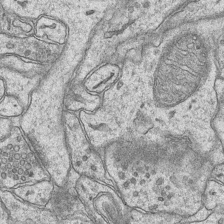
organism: Mouse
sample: CA1 Hippocampus